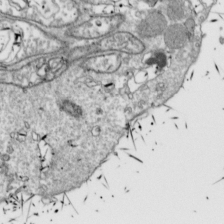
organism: Drosophila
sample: Cell division; meiosis; drosophila spermatocytes